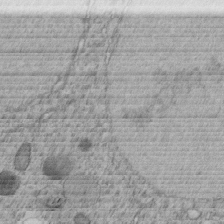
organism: C. elegans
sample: C. elegans embryo early stage